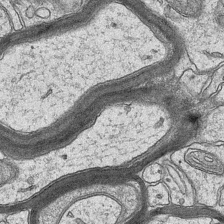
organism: Mouse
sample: CA1 Hippocampus